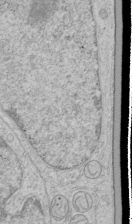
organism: Human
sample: Mitochondria in HCT116 cells